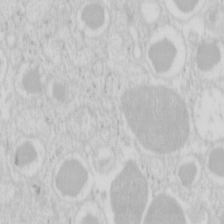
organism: Mouse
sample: Pancreas